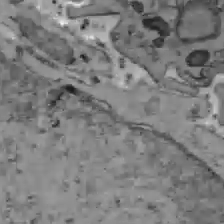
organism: C57BL Mouse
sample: Liver